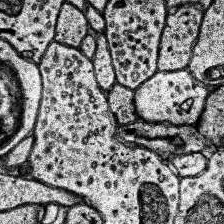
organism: Human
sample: Temporal Lobe